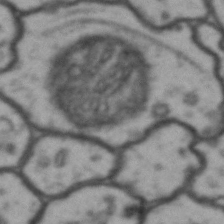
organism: Drosophila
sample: Brain